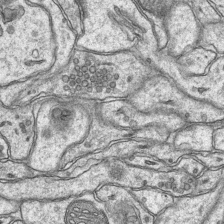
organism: Mouse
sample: CA1 Hippocampus